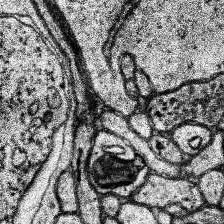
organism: Human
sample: Temporal Lobe